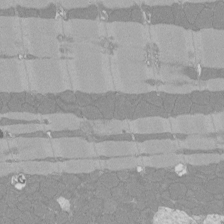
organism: Rat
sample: Left ventricle